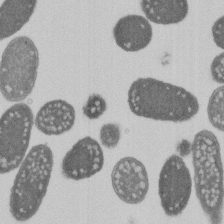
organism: E. coli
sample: Bacterial nucleoid